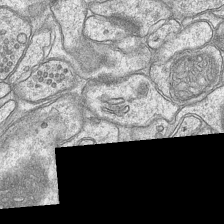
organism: Mouse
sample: CA1 Hippocampus